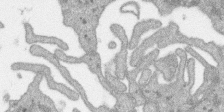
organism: Human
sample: Lung epithelial cells infected with SARS-CoV-2